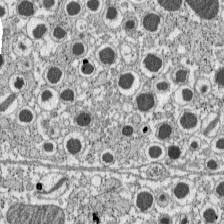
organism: C57BL Mouse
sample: Pancreatic islet